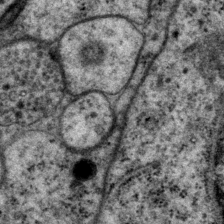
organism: P. pacificus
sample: Pharynx